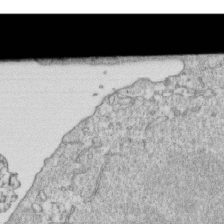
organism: Mouse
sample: Activated OT-1 CD8+ T cells